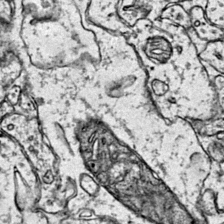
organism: Mouse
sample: Primary visual cortex